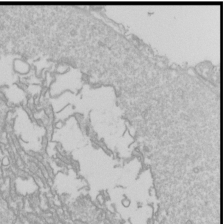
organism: Drosophila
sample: Cell division; meiosis; drosophila spermatocytes